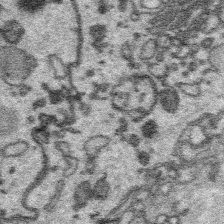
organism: Platynereis dumerilii